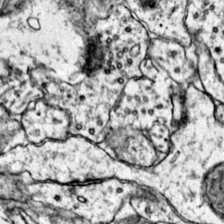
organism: Mouse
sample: Primary visual cortex